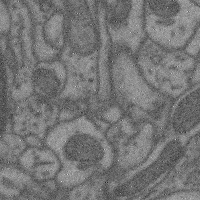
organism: Mouse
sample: Cerebral cortex